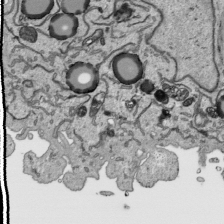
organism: Human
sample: Mitochondria in HCT116 cells